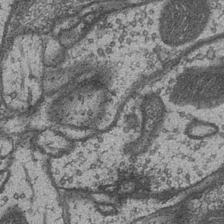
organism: Drosophila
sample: Optic medulla